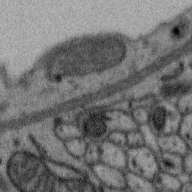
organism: Zebra finch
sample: Brain